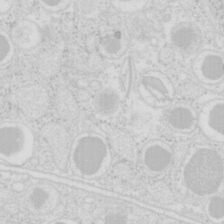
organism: Mouse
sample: Pancreas